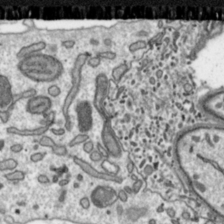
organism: Toxoplasma gondii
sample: Parasites in a vacuole inside a host cell